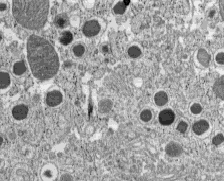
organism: C57BL Mouse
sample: Pancreatic islet